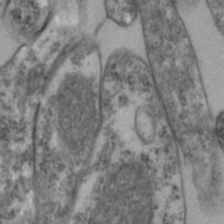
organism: Zebrafish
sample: Zebrafish embryo